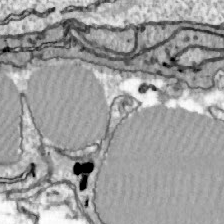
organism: Zebrafish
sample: Actinotrichia fibers